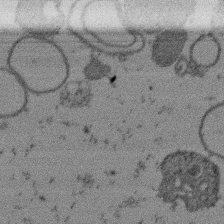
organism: Mouse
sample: Dividing mouse embryo 1 cell stage